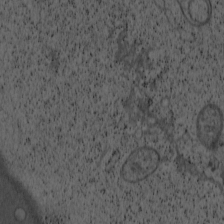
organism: African green monkey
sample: COS-7 cells